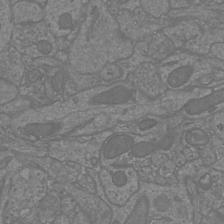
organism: Mouse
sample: Cortical neurons